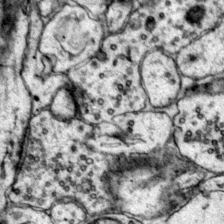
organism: Mouse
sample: Primary visual cortex